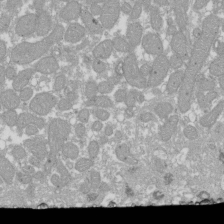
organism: Xenopus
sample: Cilia; centrioles in frog embryo cells